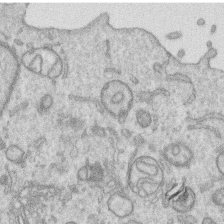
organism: Human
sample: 1205lu cells